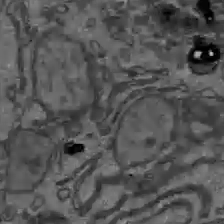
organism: C57BL Mouse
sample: Liver